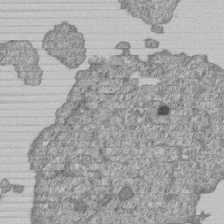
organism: Human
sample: MDA-MB-231 cells